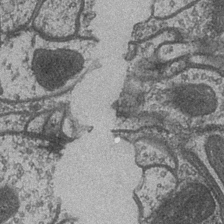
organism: Drosophila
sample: Optic medulla